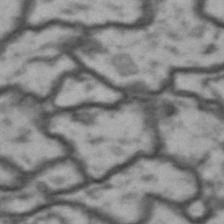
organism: Drosophila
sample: Brain